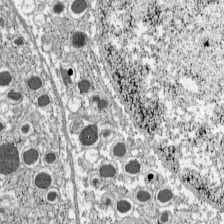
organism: C57BL Mouse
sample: Pancreatic islet